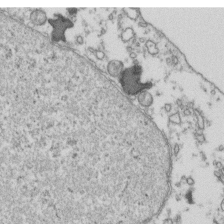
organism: Human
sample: Activated Jurkat CD4+ T cells